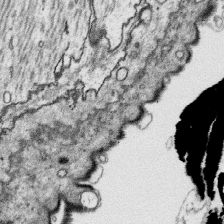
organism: Platynereis dumerilii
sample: Parapodia